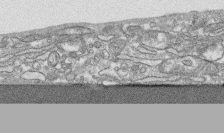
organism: Human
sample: CRL-1474